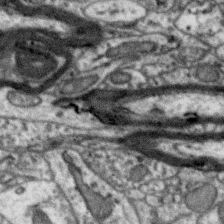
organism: Zebra finch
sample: Brain